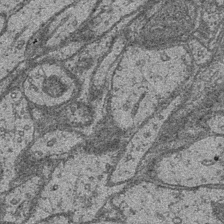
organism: Drosophila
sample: Optic medulla